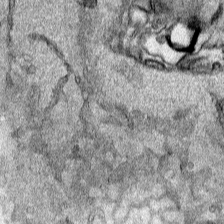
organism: Human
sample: Mitochondria in HCT116 cells